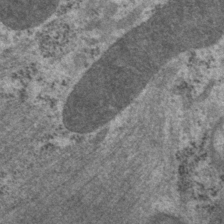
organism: P. pacificus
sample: Pharynx